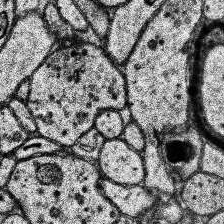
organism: Human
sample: Temporal Lobe